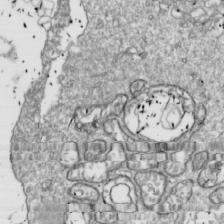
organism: Drosophila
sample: Cell division; meiosis; drosophila spermatocytes